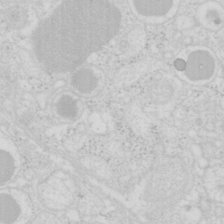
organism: Mouse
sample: Pancreas